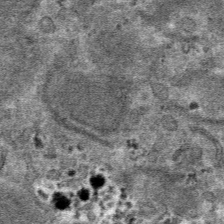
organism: Mouse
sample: Mouse hepatocytes